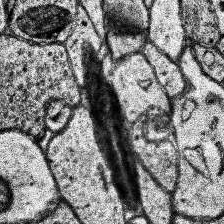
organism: Human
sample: Temporal Lobe